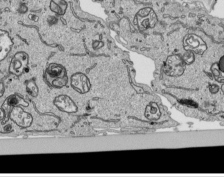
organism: Human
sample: Mitochondria in HCT116 cells